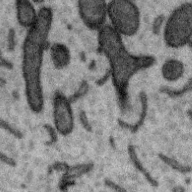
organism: Zebra finch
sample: Brain